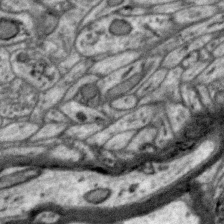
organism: Zebra finch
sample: Brain